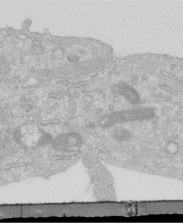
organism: Human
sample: Centriole in RPE cells